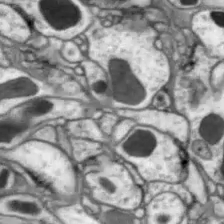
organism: Drosophila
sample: Optic lobe